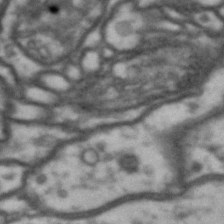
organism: Drosophila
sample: Brain